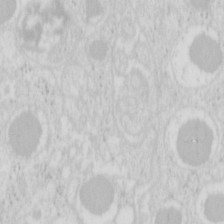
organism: Mouse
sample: Pancreas